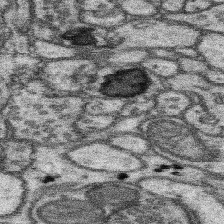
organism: Mouse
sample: Somatosensory cortex neuropil